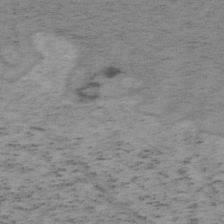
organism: Mouse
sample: OT-I killer T cells with ID8 ovarian cancer cells